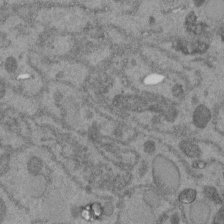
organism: C. elegans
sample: C. elegans embryo early stage